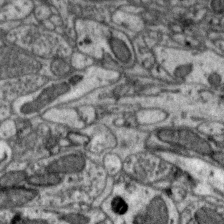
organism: Zebra finch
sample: Brain